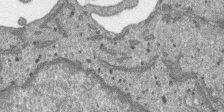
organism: Human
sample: Lung epithelial cells infected with SARS-CoV-2